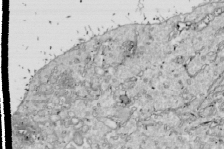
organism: Drosophila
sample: Cell division; meiosis; drosophila spermatocytes